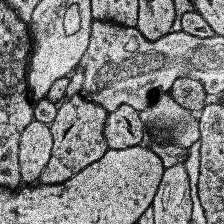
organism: Human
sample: Temporal Lobe